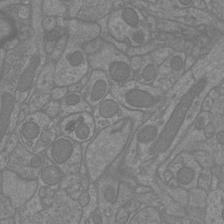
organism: Mouse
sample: Cortical neurons